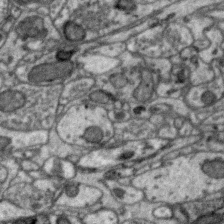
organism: Zebra finch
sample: Brain